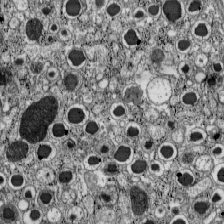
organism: C57BL Mouse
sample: Pancreatic islet